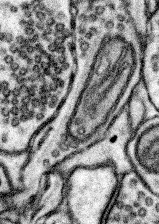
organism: Mouse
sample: Somatosensory cortex neuropil